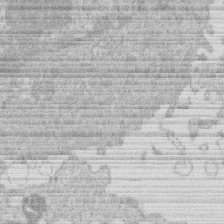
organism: Human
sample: Macrophage cells